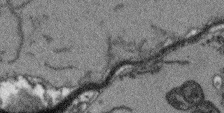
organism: Arabidopsis thaliana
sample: Root tip